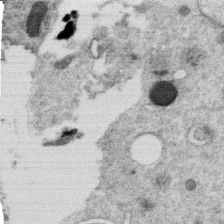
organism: C. elegans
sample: C. elegans oocyte; sperm cells